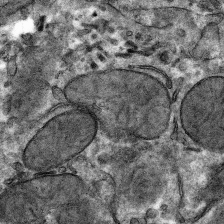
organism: Mouse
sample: Mouse hepatocytes